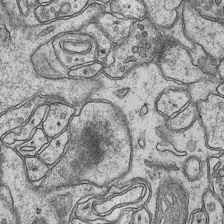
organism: Mouse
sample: CA1 Hippocampus